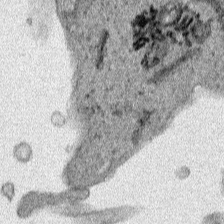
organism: Human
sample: Mitochondria in HCT116 cells